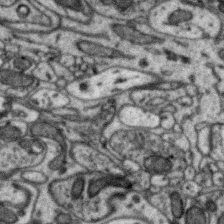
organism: Zebra finch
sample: Brain